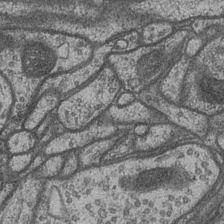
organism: Drosophila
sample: Optic medulla